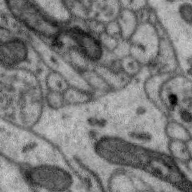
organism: Zebra finch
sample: Brain